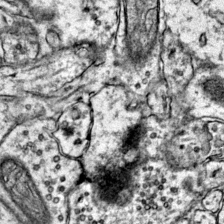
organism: Mouse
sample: Primary visual cortex